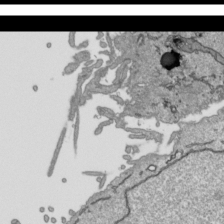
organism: Human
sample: Mitochondria in HCT116 cells